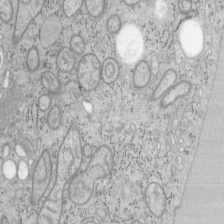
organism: Mouse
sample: OT-I killer T cells with ID8 ovarian cancer cells